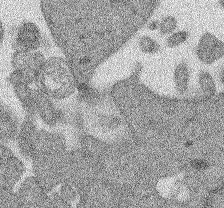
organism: Human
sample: HeLa cells